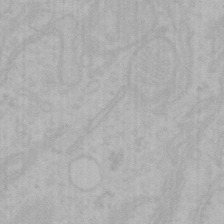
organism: Mouse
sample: Choroid plexus